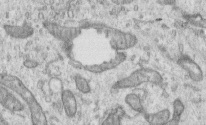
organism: Human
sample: Centriole in RPE cells